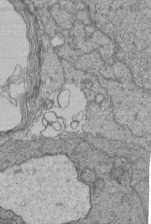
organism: Human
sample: Retinal organoid Rod and Cone cells